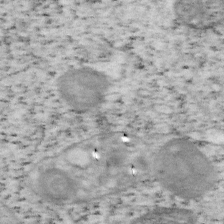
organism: Mouse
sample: OT-I killer T cells with ID8 ovarian cancer cells